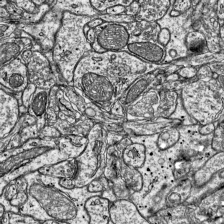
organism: Mouse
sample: Visual Cortex